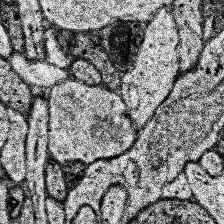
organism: Human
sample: Temporal Lobe